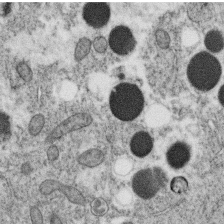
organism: C. elegans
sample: C. elegans oocyte; sperm cells